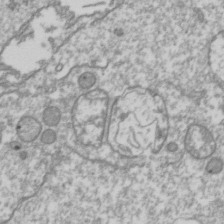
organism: Drosophila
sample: Cell division; meiosis; drosophila spermatocytes